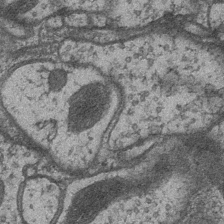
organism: Drosophila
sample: Optic medulla